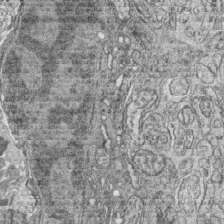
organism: Zebrafish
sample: synaptic ribbons in rod cells and cone cells